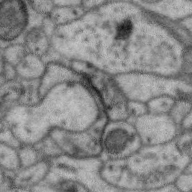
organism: Zebra finch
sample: Brain